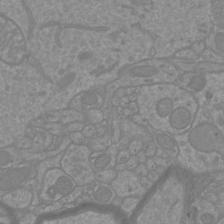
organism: Mouse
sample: Cortical neurons